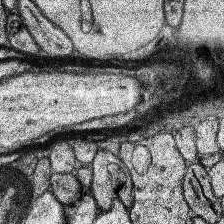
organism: Human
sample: Temporal Lobe